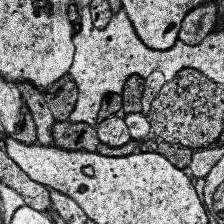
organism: Human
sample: Temporal Lobe